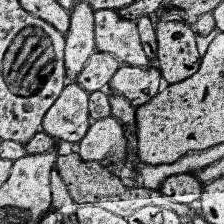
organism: Human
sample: Temporal Lobe